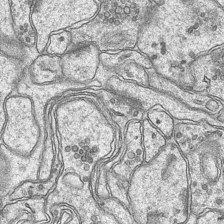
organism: Mouse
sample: CA1 Hippocampus